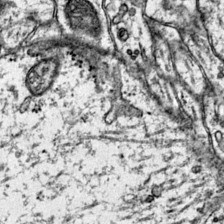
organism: Mouse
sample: Primary visual cortex